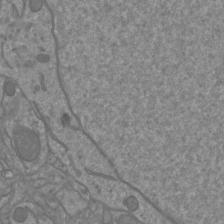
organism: Mouse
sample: Cortical neurons